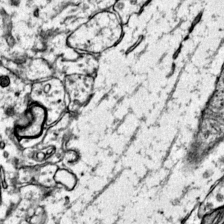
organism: Mouse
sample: Primary visual cortex